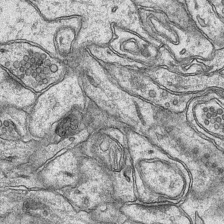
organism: Mouse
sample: CA1 Hippocampus